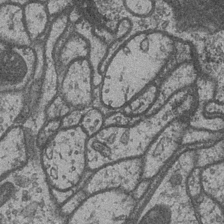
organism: Drosophila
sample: Optic medulla